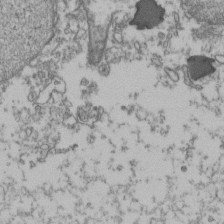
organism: Human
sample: Activated Jurkat CD4+ T cells